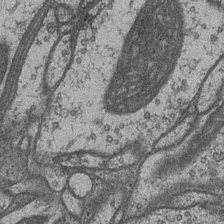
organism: Drosophila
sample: Optic medulla